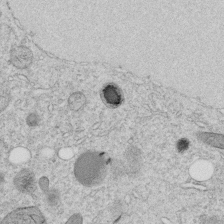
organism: C. elegans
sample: C. elegans embryo early stage